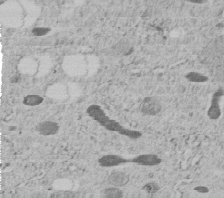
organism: C. elegans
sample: C. elegans embryo early stage